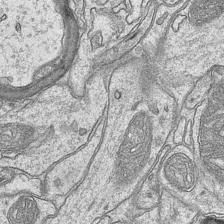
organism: Mouse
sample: CA1 Hippocampus